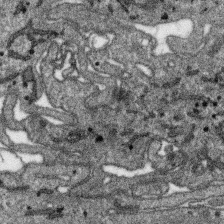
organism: Human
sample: Lung epithelial cells infected with SARS-CoV-2